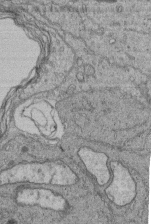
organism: Human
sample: Retinal organoid Rod and Cone cells